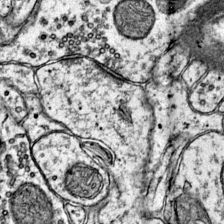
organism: Mouse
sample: Primary visual cortex